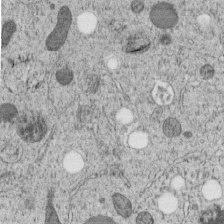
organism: C. elegans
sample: C. elegans embryo early stage